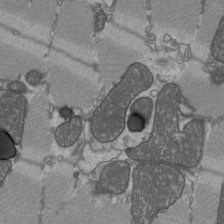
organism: C57BL Mouse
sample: Heart